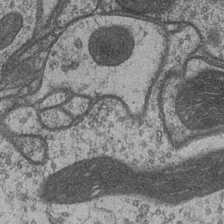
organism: Drosophila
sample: Optic medulla